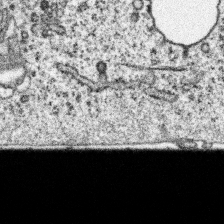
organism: Human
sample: HeLa cells